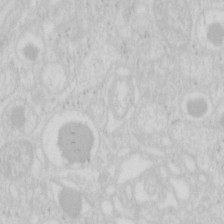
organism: Mouse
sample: Pancreas